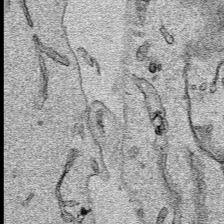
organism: Human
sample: Mitochondria in HCT116 cells